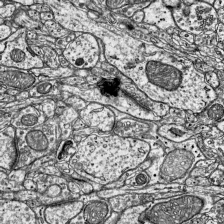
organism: Mouse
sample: Visual Cortex